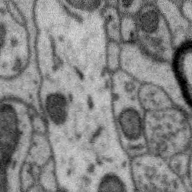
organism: Zebra finch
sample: Brain